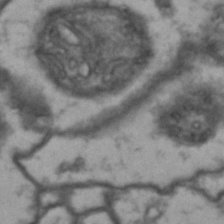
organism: Drosophila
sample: Brain